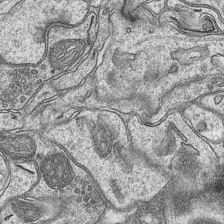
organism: Mouse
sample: CA1 Hippocampus